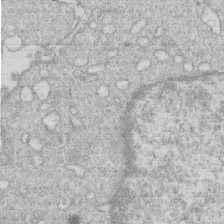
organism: Human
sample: Macrophage cells